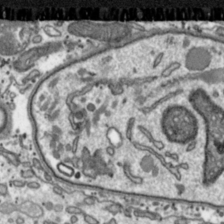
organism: Toxoplasma gondii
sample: Parasites in a vacuole inside a host cell